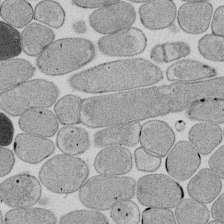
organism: E. coli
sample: Bacterial nucleoid